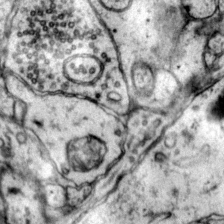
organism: Mouse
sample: Primary visual cortex